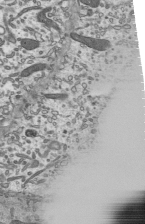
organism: Mouse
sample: Mouse epididymis efferent ductule cilia